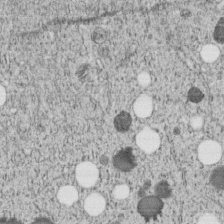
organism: C. elegans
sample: C. elegans embryo early stage